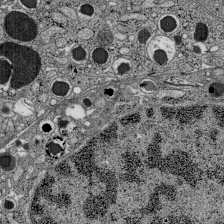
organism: C57BL Mouse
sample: Pancreatic islet